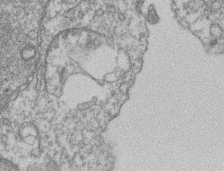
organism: Mouse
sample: T cell stromal cell synapse